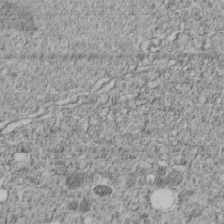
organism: C. elegans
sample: C. elegans embryo early stage